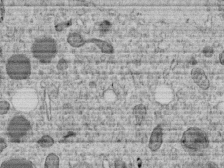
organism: C. elegans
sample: C. elegans embryo early stage